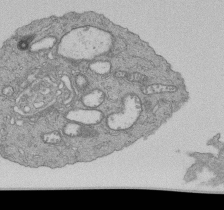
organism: Human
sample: Retinal organoid Rod and Cone cells